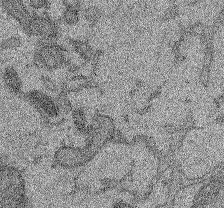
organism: Human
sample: HeLa cells